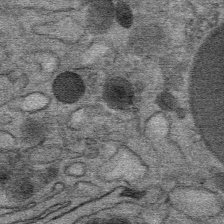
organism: Mouse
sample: Mouse Salivary gland